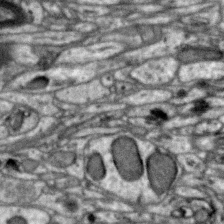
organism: Zebra finch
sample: Brain